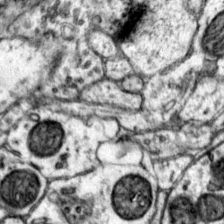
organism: Mouse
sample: Primary visual cortex